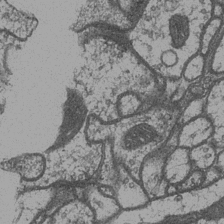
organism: Drosophila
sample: Optic medulla